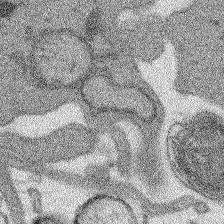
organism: Human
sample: HeLa cells